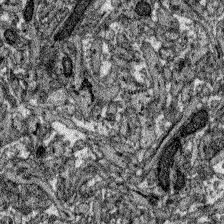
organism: Zebrafish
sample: Larval olfactory bulb